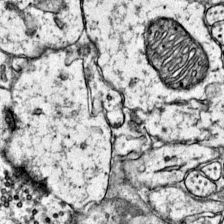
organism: Mouse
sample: Primary visual cortex